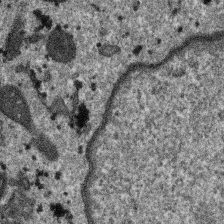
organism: Human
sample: Lung epithelial cells infected with SARS-CoV-2